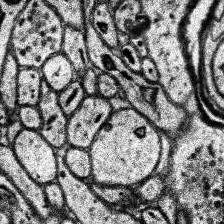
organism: Human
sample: Temporal Lobe